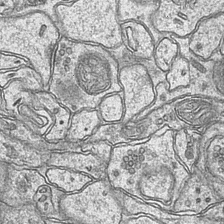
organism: Mouse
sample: CA1 Hippocampus